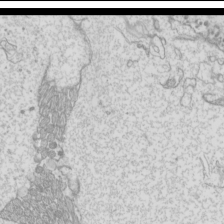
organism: Mouse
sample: Cilia; mouse epididymis